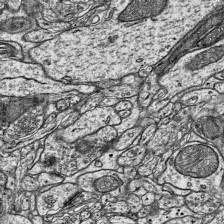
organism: Mouse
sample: Visual Cortex